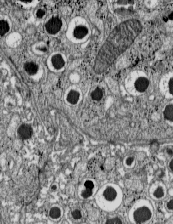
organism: C57BL Mouse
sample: Pancreatic islet